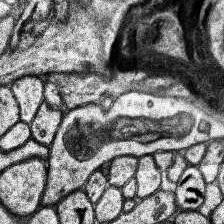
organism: Human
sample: Temporal Lobe